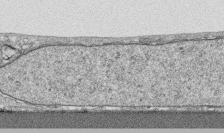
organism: Human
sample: CRL-1474